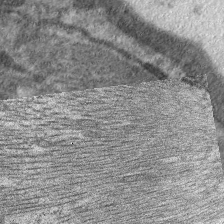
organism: C. elegans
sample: Pharynx